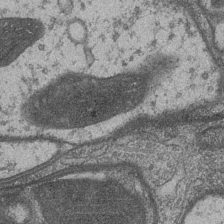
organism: Drosophila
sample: Optic medulla